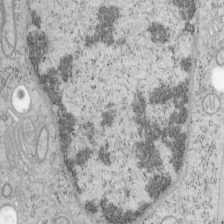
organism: Mouse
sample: OT-I killer T cells with ID8 ovarian cancer cells